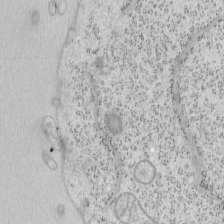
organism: Mouse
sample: OT-I killer T cells with ID8 ovarian cancer cells